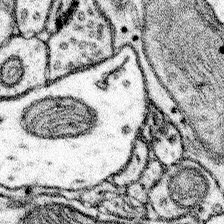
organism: Mouse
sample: Somatosensory cortex neuropil